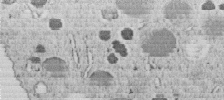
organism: C. elegans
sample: C. elegans embryo early stage